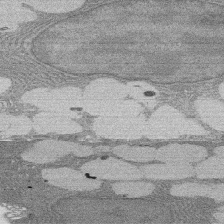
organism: Rat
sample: Salivary granule